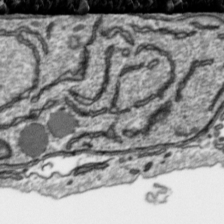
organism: Toxoplasma gondii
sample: Parasites in a vacuole inside a host cell